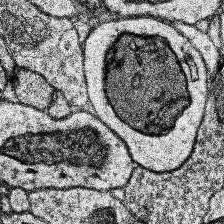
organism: Human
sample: Temporal Lobe